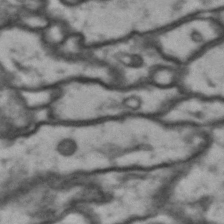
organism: Drosophila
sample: Brain